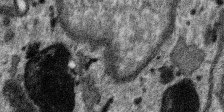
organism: Human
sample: Lung epithelial cells infected with SARS-CoV-2